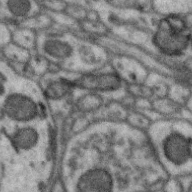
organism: Zebra finch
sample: Brain